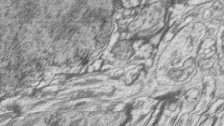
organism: Zebrafish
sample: synaptic ribbons in rod cells and cone cells